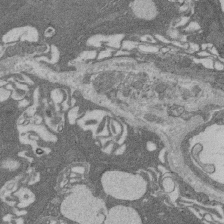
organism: Rat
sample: Salivary granule